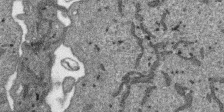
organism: Human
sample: Lung epithelial cells infected with SARS-CoV-2